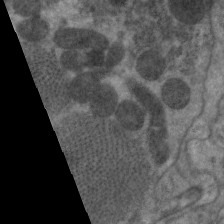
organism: C. elegans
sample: Pharynx